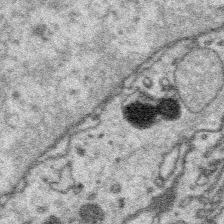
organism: Platynereis dumerilii